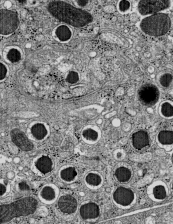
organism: C57BL Mouse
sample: Pancreatic islet